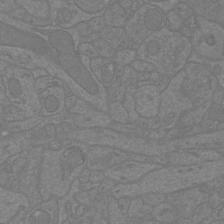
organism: Mouse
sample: Cortical neurons